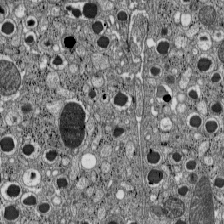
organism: C57BL Mouse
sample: Pancreatic islet